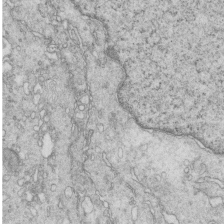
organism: Mouse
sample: Multiciliated cells